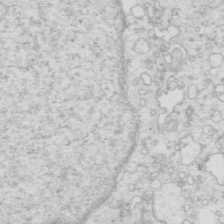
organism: Mouse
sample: Multiciliated cells